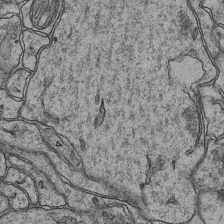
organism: Mouse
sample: CA1 Hippocampus